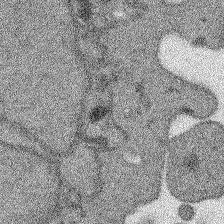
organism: Human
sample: HeLa cells